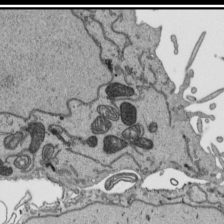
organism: Human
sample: Mitochondria in HCT116 cells